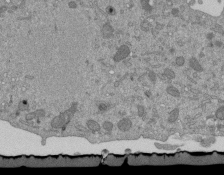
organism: Mouse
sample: ED-1 cell nuclei; centrioles